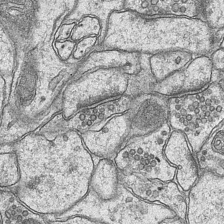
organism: Mouse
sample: CA1 Hippocampus